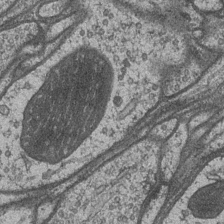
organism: Drosophila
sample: Optic medulla